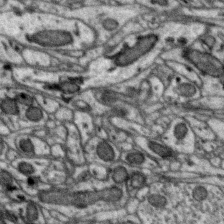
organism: Zebra finch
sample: Brain